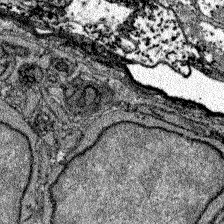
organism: Zebrafish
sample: Larval olfactory bulb